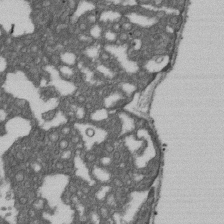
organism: Drosophila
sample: Nephrocyte